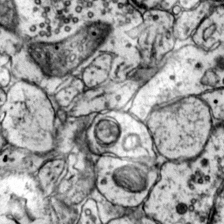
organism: Mouse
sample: Primary visual cortex